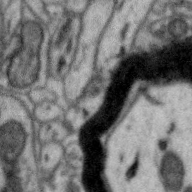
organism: Zebra finch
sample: Brain